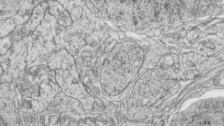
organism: Zebrafish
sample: synaptic ribbons in rod cells and cone cells